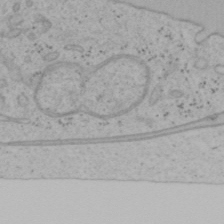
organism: Human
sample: HeLa cells